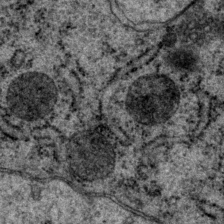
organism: P. pacificus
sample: Pharynx